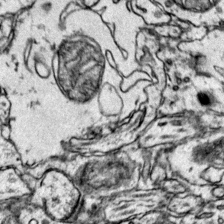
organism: Mouse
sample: Primary visual cortex